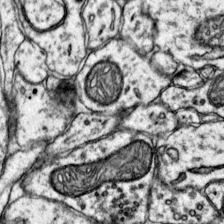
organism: Mouse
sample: Primary visual cortex